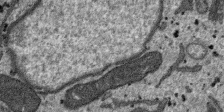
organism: Human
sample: Lung epithelial cells, uninfected (mock) control